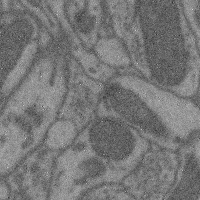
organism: Mouse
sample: Cerebral cortex